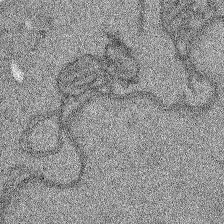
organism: Human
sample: HeLa cells